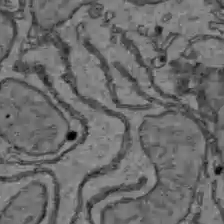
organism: C57BL Mouse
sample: Liver